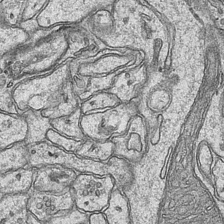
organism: Mouse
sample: CA1 Hippocampus